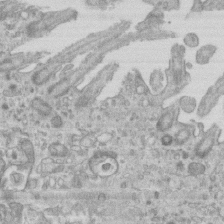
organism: Mouse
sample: Centriole in ependymal cells